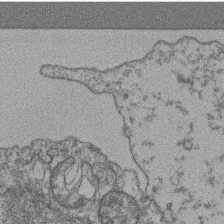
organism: Mouse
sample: T cell stromal cell synapse